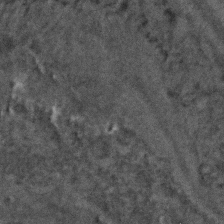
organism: C. elegans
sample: C. elegans embryo